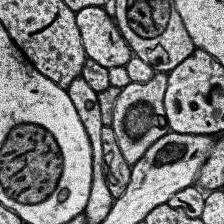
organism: Human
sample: Temporal Lobe